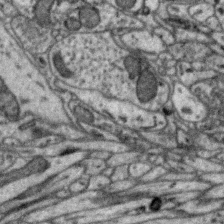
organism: Zebra finch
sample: Brain